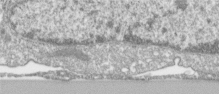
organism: Human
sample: Centriole in RPE cells